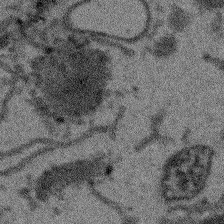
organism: Arabidopsis thaliana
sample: Root tip